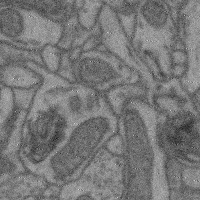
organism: Mouse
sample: Cerebral cortex